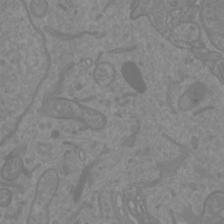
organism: Mouse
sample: Cortical neurons